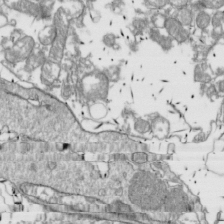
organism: Drosophila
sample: Cell division; meiosis; drosophila spermatocytes